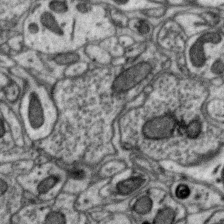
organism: Zebra finch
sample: Brain